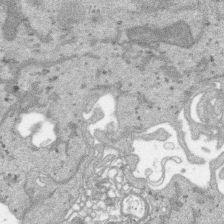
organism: Human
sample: Lung epithelial cells infected with SARS-CoV-2